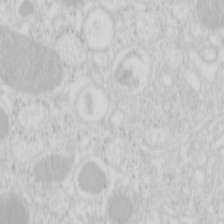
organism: Mouse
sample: Pancreas